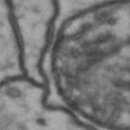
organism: Drosophila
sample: Brain